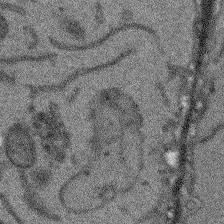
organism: Arabidopsis thaliana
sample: Root tip